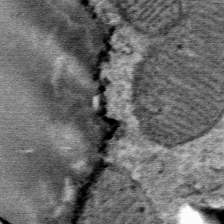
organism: Mouse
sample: Mouse Salivary gland